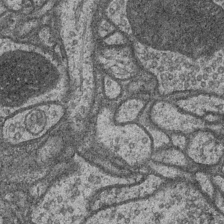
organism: Drosophila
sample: Optic medulla